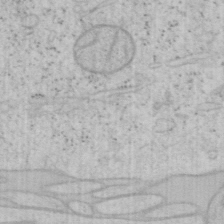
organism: Human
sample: HeLa cells